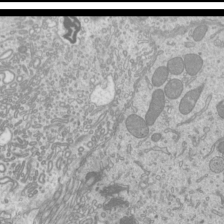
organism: Mouse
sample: Cilia; mouse epididymis